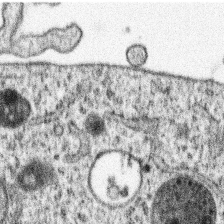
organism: Human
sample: HeLa cells